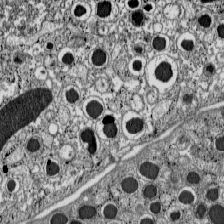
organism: C57BL Mouse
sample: Pancreatic islet